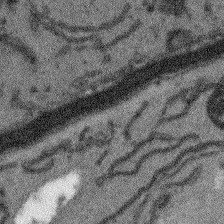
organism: Arabidopsis thaliana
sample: Root tip